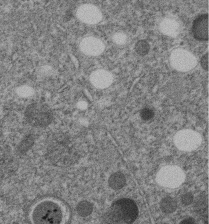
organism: C. elegans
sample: C. elegans embryo early stage